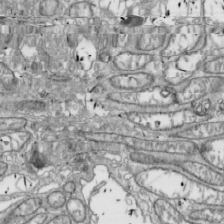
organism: Drosophila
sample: Cell division; meiosis; drosophila spermatocytes